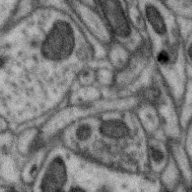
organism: Zebra finch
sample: Brain